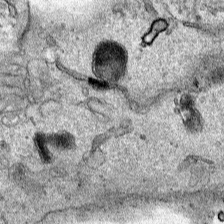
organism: Human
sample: Mitochondria in HCT116 cells